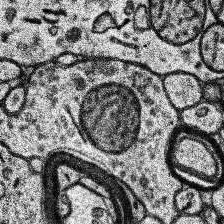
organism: Human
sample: Temporal Lobe